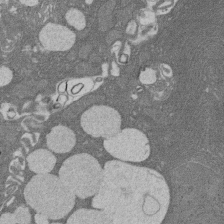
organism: Rat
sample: Salivary granule